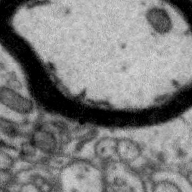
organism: Zebra finch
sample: Brain